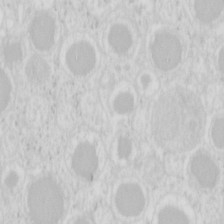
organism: Mouse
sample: Pancreas